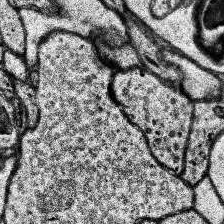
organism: Human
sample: Temporal Lobe